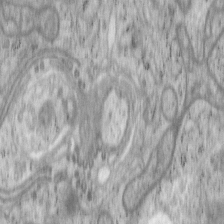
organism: Human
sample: HeLa cells